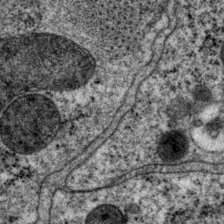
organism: P. pacificus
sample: Pharynx